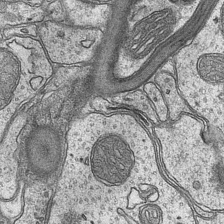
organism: Mouse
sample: CA1 Hippocampus